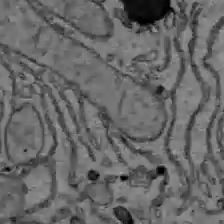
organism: C57BL Mouse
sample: Liver